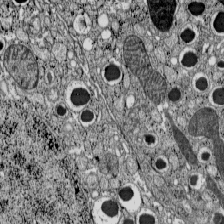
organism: C57BL Mouse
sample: Pancreatic islet